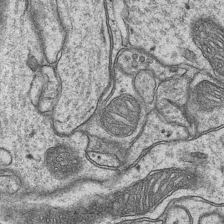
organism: Mouse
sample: CA1 Hippocampus